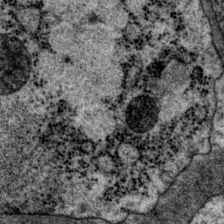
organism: P. pacificus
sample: Pharynx